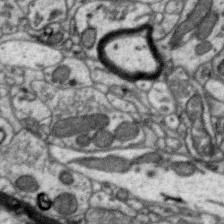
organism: Zebra finch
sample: Brain